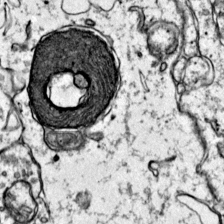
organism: Mouse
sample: Primary visual cortex